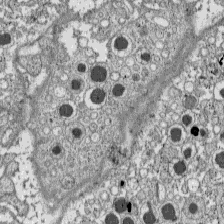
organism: C57BL Mouse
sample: Pancreatic islet